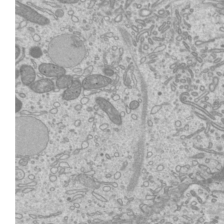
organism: Mouse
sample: Cilia; mouse epididymis